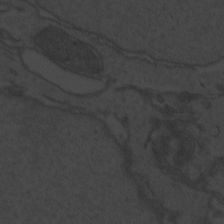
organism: Zebrafish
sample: Macrophage infected with Toxoplasma gondii